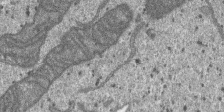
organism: Human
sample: Lung epithelial cells infected with SARS-CoV-2